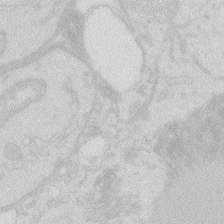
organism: Zebrafish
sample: Macrophage